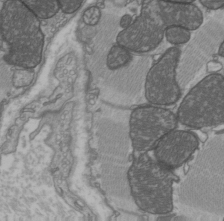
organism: C57BL Mouse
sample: Heart